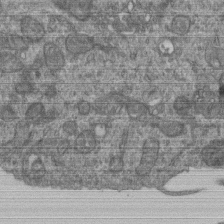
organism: Human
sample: Retinal organoid Rod and Cone cells